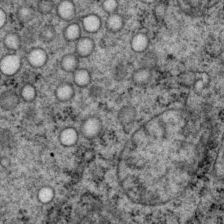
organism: P. pacificus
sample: Pharynx